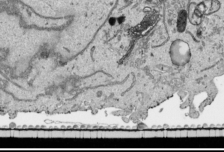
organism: Human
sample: Mitochondria in HCT116 cells